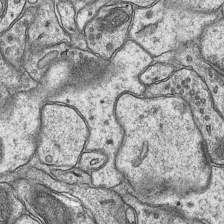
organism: Mouse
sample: CA1 Hippocampus